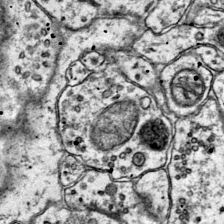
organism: Mouse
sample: Primary visual cortex